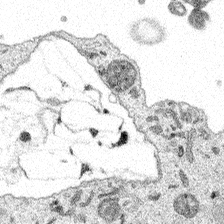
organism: Spongilla lacustris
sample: Multiple